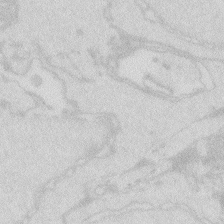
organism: Zebrafish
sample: Macrophage